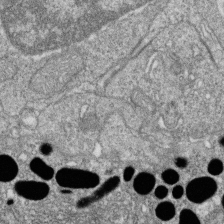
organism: Zebrafish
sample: Cilia; retinal pigment epithelium